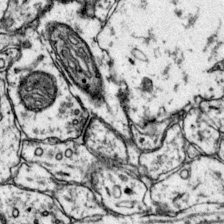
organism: Mouse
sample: Primary visual cortex